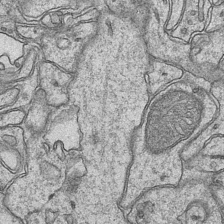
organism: Mouse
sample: CA1 Hippocampus